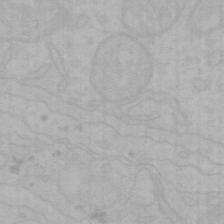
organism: Mouse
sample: Choroid plexus